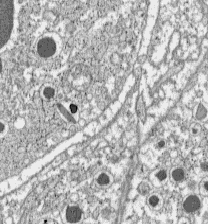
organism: C57BL Mouse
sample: Pancreatic islet